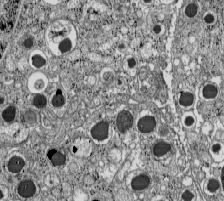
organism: C57BL Mouse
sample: Pancreatic islet